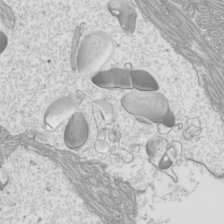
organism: Mouse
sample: Cilia; mouse epididymis